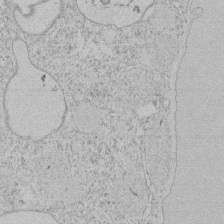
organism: Tetrahymena